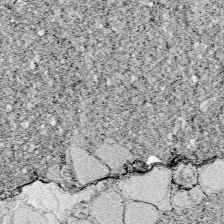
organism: Zebrafish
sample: Whole-Brain